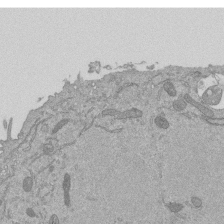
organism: Mouse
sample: ED-1 cell nuclei; centrioles